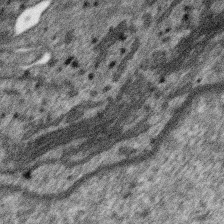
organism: Human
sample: Lung epithelial cells infected with SARS-CoV-2